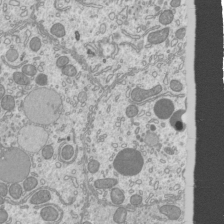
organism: Mouse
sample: Cilia; mouse epididymis